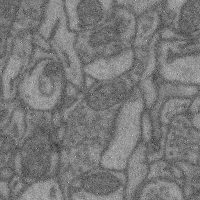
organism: Mouse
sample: Cerebral cortex